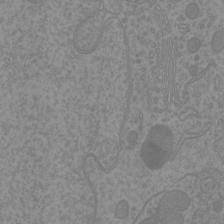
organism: Mouse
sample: Cortical neurons